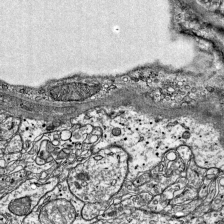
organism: Mouse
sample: Visual Cortex